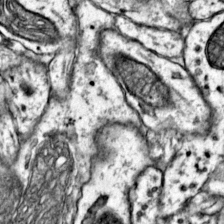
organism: Mouse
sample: Primary visual cortex